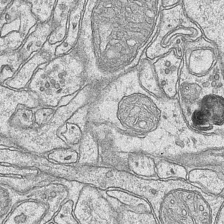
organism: Mouse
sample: CA1 Hippocampus